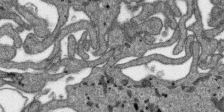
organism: Human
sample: Lung epithelial cells, uninfected (mock) control